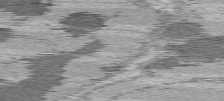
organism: C57BL Mouse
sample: Heart